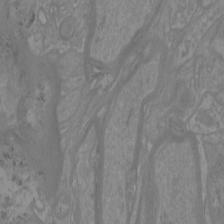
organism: Mouse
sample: Cortical neurons